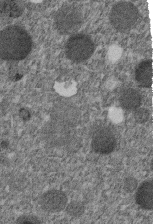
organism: C. elegans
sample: C. elegans embryo early stage